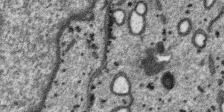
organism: Human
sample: Lung epithelial cells infected with SARS-CoV-2